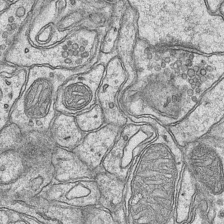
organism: Mouse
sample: CA1 Hippocampus